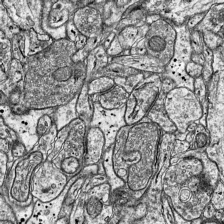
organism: Mouse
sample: Visual Cortex